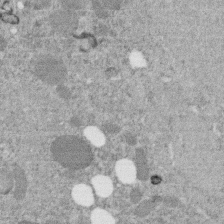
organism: C. elegans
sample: C. elegans embryo early stage